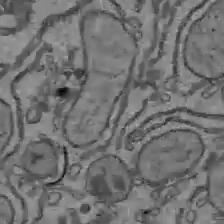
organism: C57BL Mouse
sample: Liver